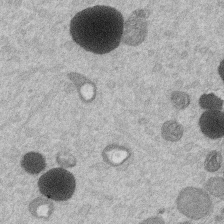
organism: Mouse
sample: Dividing mouse embryo 1 cell stage